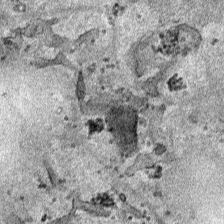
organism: Human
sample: Mitochondria in HCT116 cells